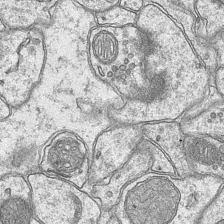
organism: Mouse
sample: CA1 Hippocampus